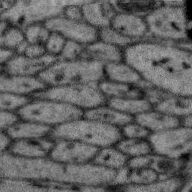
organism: Zebra finch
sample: Brain